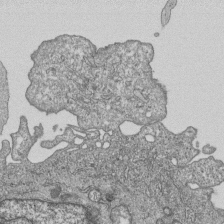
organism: Human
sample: MDA-MB-231 cells